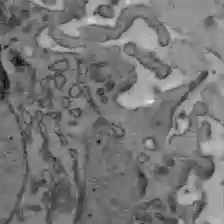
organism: C57BL Mouse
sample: Liver